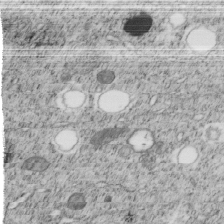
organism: C. elegans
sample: C. elegans embryo early stage